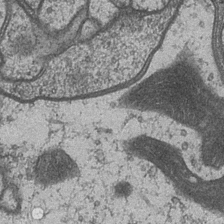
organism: Drosophila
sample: Optic medulla